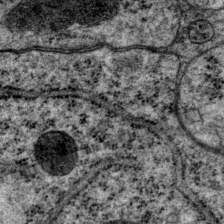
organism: P. pacificus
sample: Pharynx